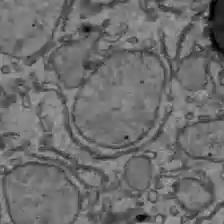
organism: C57BL Mouse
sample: Liver